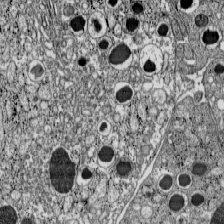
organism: C57BL Mouse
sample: Pancreatic islet